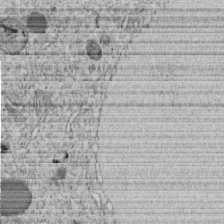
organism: C. elegans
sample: C. elegans embryo early stage